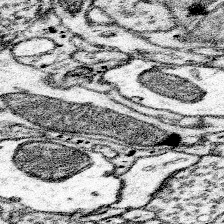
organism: Mouse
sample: Somatosensory cortex neuropil